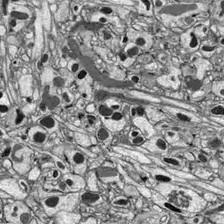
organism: Drosophila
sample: Optic lobe